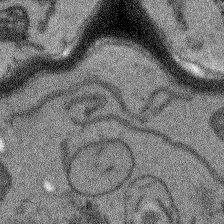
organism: Arabidopsis thaliana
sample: Root tip